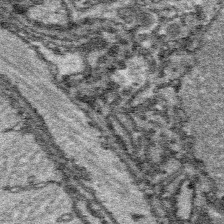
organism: Platynereis dumerilii